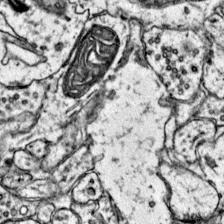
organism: Mouse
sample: Primary visual cortex